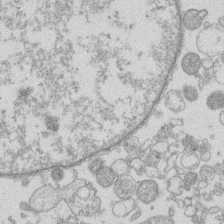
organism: Human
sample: Macrophage cells